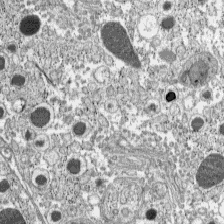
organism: C57BL Mouse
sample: Pancreatic islet